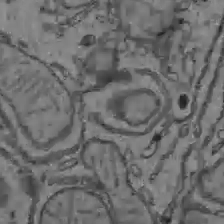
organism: C57BL Mouse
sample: Liver